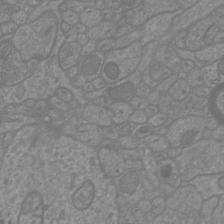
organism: Mouse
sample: Cortical neurons